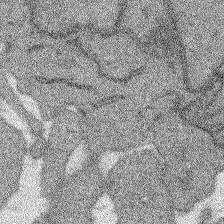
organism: Human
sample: HeLa cells